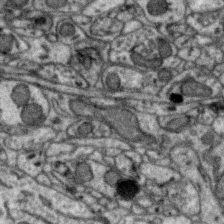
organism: Zebra finch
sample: Brain